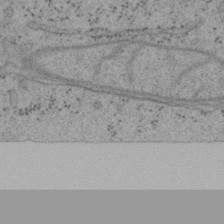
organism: Human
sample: HeLa cells